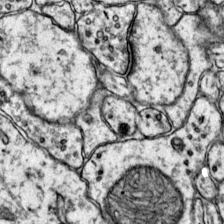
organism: Mouse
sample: Primary visual cortex